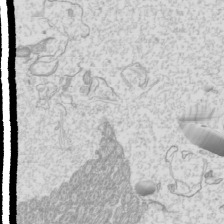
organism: Mouse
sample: Cilia; mouse epididymis